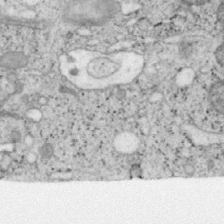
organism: Mouse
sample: OT-I killer T cells with ID8 ovarian cancer cells